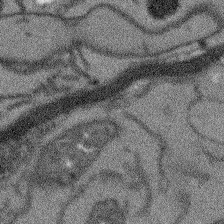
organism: Arabidopsis thaliana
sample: Root tip